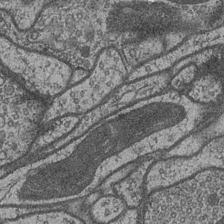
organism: Drosophila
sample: Optic medulla